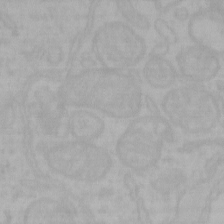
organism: Mouse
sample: Choroid plexus